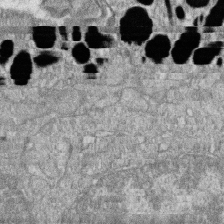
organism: Zebrafish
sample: Cilia; retinal pigment epithelium